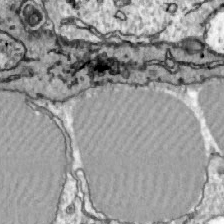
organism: Zebrafish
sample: Actinotrichia fibers